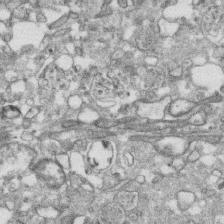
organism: Human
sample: CRL-1474